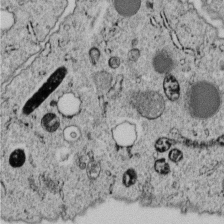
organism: C. elegans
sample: C. elegans embryo early stage